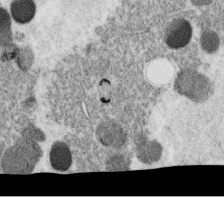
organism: C. elegans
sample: C. elegans oocyte; sperm cells